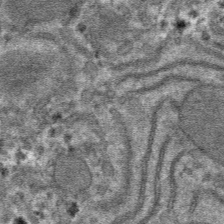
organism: Mouse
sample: Mouse hepatocytes